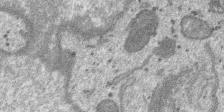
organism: Human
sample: Lung epithelial cells infected with SARS-CoV-2